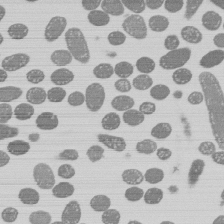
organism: E. coli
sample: Bacterial nucleoid